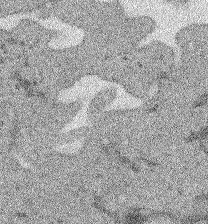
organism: Human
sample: HeLa cells